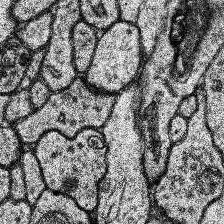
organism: Human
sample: Temporal Lobe